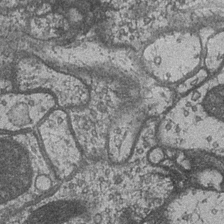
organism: Drosophila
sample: Optic medulla